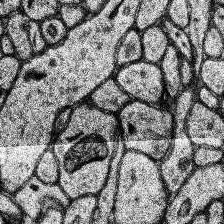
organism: Human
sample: Temporal Lobe